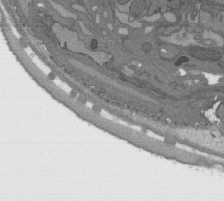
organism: C. elegans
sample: AFD neurons C. elegans